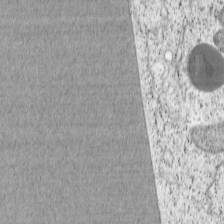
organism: African green monkey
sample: COS-7 cells